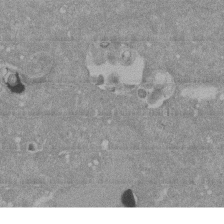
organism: Mouse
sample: ED-1 cell nuclei; centrioles